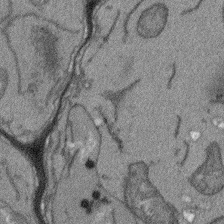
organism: Arabidopsis thaliana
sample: Root tip